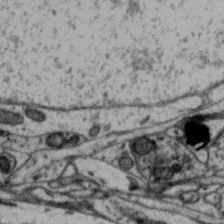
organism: Zebra finch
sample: Brain